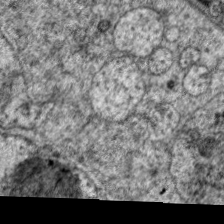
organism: C. elegans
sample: Pharynx